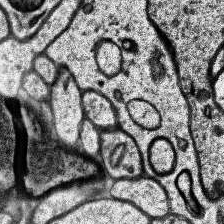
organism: Human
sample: Temporal Lobe